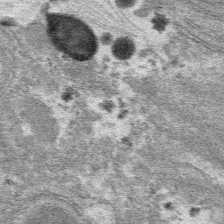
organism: Mouse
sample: Mouse hepatocytes